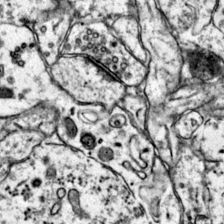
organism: Mouse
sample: Primary visual cortex